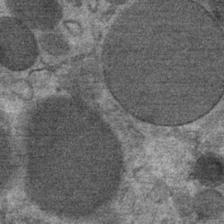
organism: Mouse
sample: Mouse Salivary gland